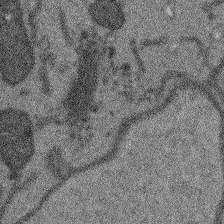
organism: Arabidopsis thaliana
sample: Root tip